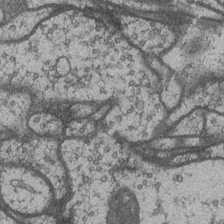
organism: Drosophila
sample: Optic medulla